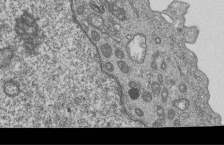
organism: Human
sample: MDA-MB-231 cells